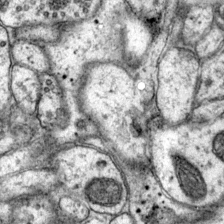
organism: Mouse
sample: Primary visual cortex